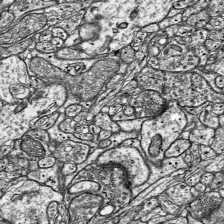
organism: Mouse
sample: Visual Cortex